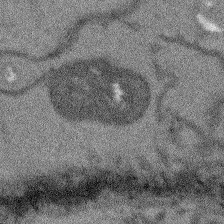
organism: Arabidopsis thaliana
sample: Root tip